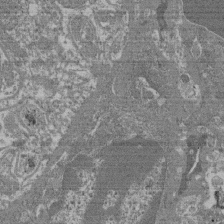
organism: Mouse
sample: Glomerulus